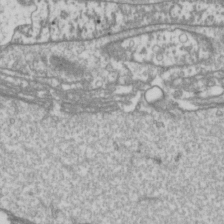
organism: Drosophila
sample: Cell division; meiosis; drosophila spermatocytes